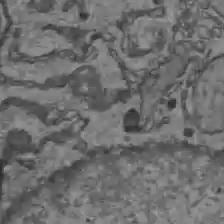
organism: C57BL Mouse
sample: Liver